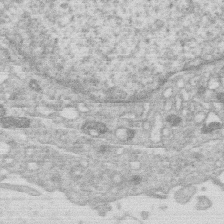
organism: Human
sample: Macrophage cells